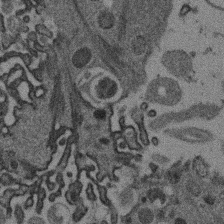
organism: Mouse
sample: Dividing mouse embryo 1 cell stage